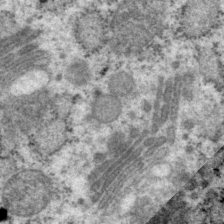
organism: P. pacificus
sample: Pharynx